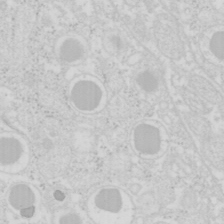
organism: Mouse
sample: Pancreas